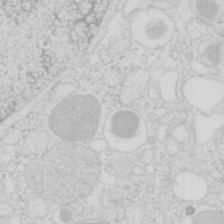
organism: Mouse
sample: Pancreas